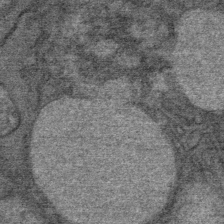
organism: Mouse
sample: Mouse Salivary gland